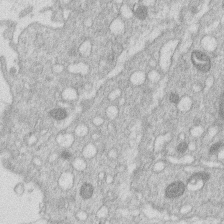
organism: Human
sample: Macrophage cells